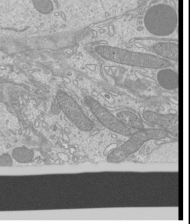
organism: Mouse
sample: Cilia; mouse epididymis